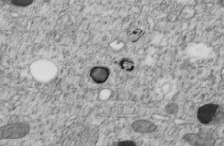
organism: C. elegans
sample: C. elegans embryo early stage